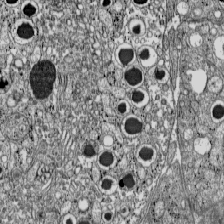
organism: C57BL Mouse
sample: Pancreatic islet